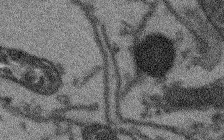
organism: Arabidopsis thaliana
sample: Root tip